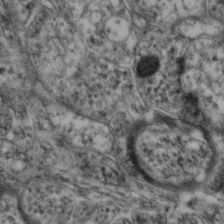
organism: Mouse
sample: Neocortex